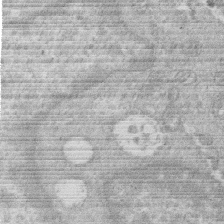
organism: Human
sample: Macrophage cells